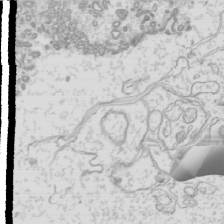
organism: Mouse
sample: Cilia; mouse epididymis